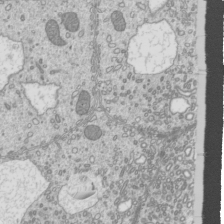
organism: Mouse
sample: Cilia; mouse epididymis